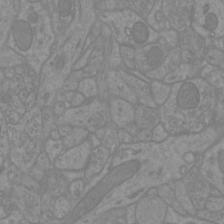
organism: Mouse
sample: Cortical neurons